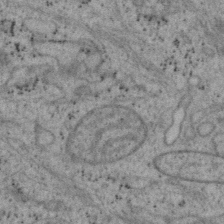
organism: Human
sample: HeLa cells